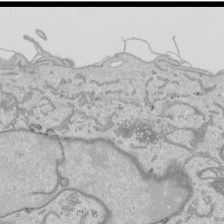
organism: Human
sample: Mitochondria in HCT116 cells